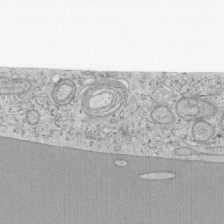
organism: Human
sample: HeLa cells